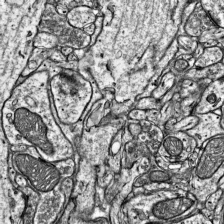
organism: Mouse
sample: Visual Cortex